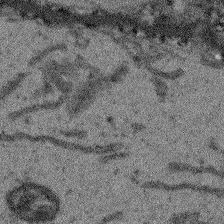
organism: Arabidopsis thaliana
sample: Root tip